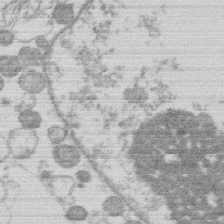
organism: Human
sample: Macrophage cells